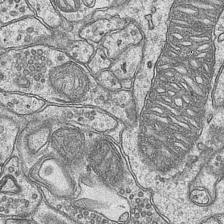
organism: Mouse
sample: CA1 Hippocampus